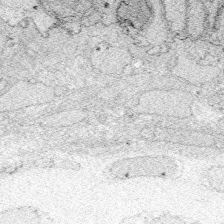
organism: Zebrafish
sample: Whole-Brain